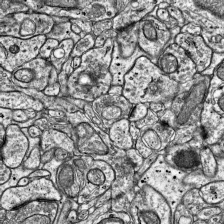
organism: Mouse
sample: Visual Cortex